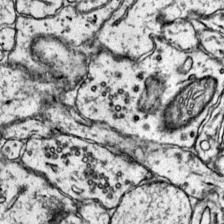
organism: Mouse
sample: Primary visual cortex